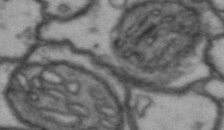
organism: Drosophila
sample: Brain